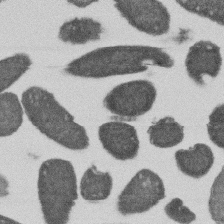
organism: E. coli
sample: Bacterial nucleoid